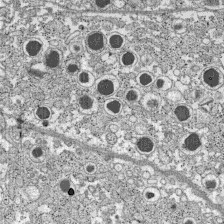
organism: C57BL Mouse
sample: Pancreatic islet